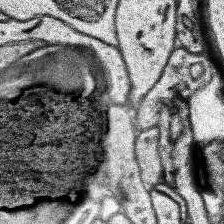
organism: Human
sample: Temporal Lobe